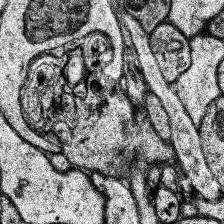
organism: Human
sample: Temporal Lobe